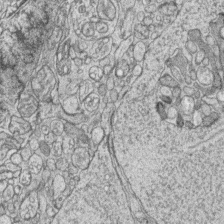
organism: Zebrafish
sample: synaptic ribbons in rod cells and cone cells